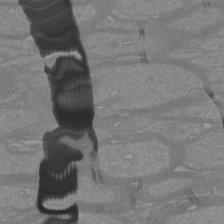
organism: Mouse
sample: Cortical neurons